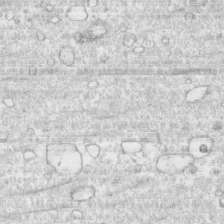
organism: Human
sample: CRL-1474